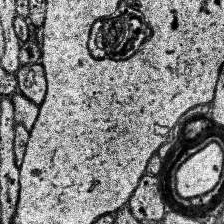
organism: Human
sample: Temporal Lobe